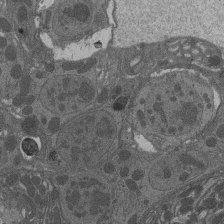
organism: Drosophila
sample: Antenna